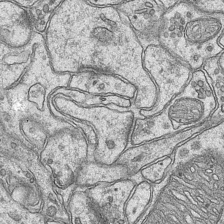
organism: Mouse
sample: CA1 Hippocampus